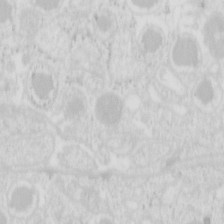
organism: Mouse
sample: Pancreas